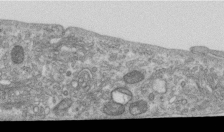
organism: Human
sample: Centriole in RPE cells